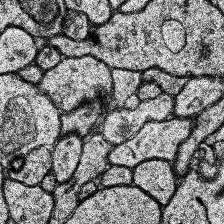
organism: Human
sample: Temporal Lobe